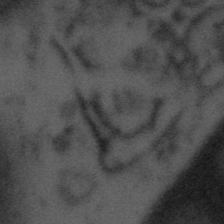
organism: Tuwongella immobilis